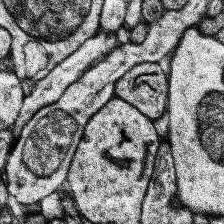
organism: Human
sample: Temporal Lobe